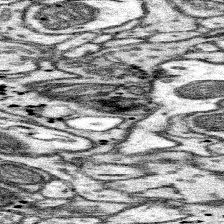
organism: Mouse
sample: Somatosensory cortex neuropil